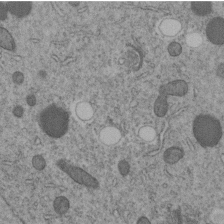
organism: C. elegans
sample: C. elegans embryo early stage